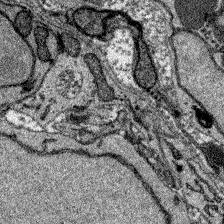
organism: Zebrafish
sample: Larval olfactory bulb